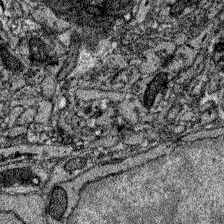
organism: Zebrafish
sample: Larval olfactory bulb